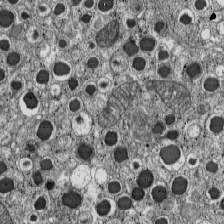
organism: C57BL Mouse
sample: Pancreatic islet